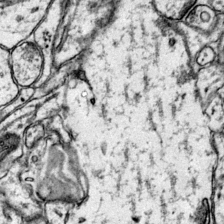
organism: Mouse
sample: Primary visual cortex